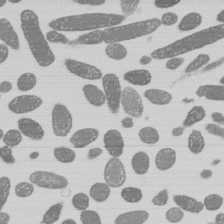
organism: E. coli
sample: Bacterial nucleoid